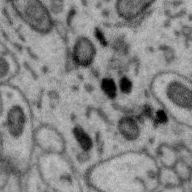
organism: Zebra finch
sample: Brain